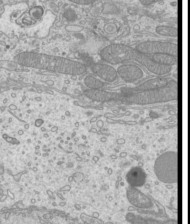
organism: Mouse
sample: Cilia; mouse epididymis